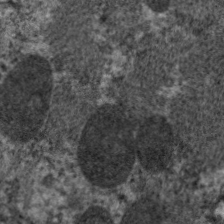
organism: C. elegans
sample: Pharynx